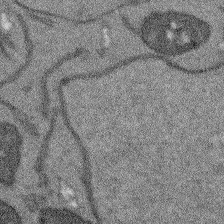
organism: Arabidopsis thaliana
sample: Root tip